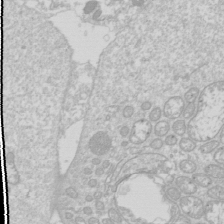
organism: Drosophila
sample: Cell division; meiosis; drosophila spermatocytes